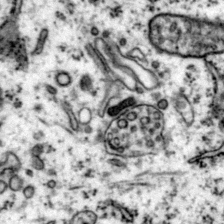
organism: Mouse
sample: Primary visual cortex